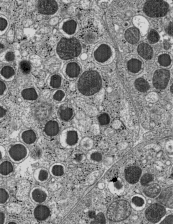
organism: C57BL Mouse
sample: Pancreatic islet